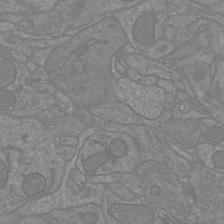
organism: Mouse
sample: Cortical neurons